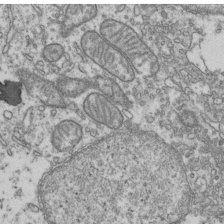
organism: Human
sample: Activated Jurkat CD4+ T cells